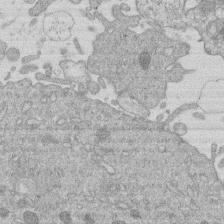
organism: Human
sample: Macrophage cells